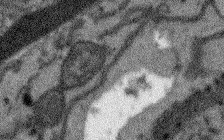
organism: Arabidopsis thaliana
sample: Root tip